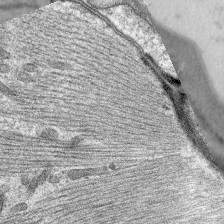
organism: C. elegans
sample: Pharynx